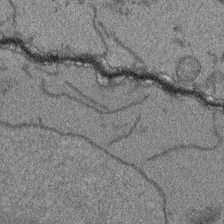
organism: Arabidopsis thaliana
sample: Root tip